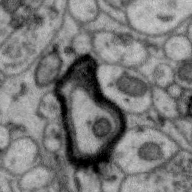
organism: Zebra finch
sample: Brain